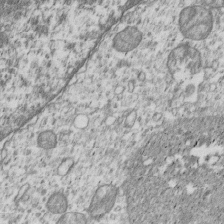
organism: Human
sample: MDA-MB-231 cells